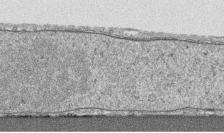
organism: Human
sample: CRL-1474